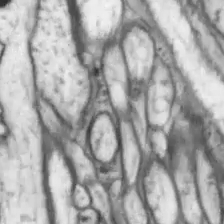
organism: Drosophila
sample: Optic lobe